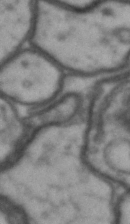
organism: Drosophila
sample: Brain